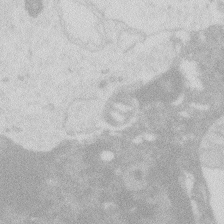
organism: Zebrafish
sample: Macrophage